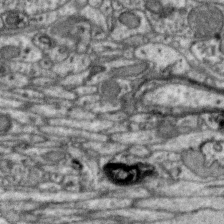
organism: Zebra finch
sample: Brain